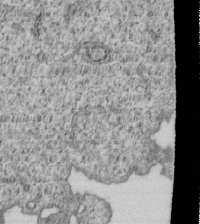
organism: Human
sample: MDA-MB-231 cells